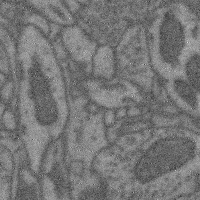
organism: Mouse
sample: Cerebral cortex